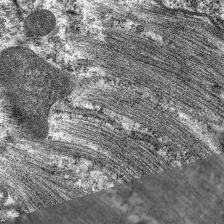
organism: C. elegans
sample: Pharynx